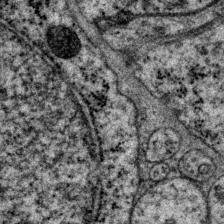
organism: P. pacificus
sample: Pharynx